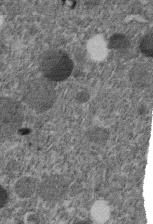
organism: C. elegans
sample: C. elegans embryo early stage